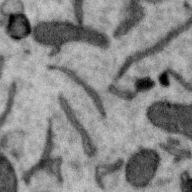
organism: Zebra finch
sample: Brain